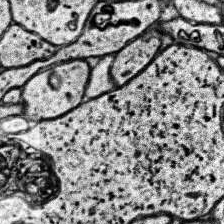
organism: Human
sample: Temporal Lobe